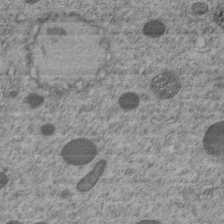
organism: C. elegans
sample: C. elegans embryo early stage